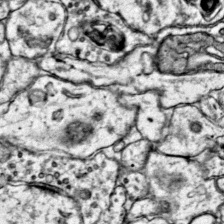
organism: Mouse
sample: Primary visual cortex